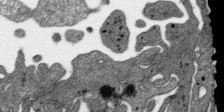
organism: Human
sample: Lung epithelial cells, uninfected (mock) control